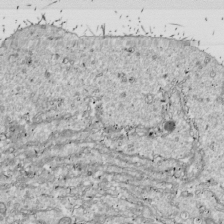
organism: Drosophila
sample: Cell division; meiosis; drosophila spermatocytes